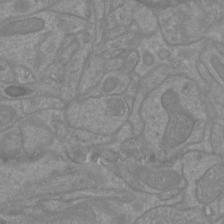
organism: Mouse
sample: Cortical neurons